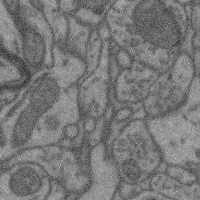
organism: Mouse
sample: Cerebral cortex